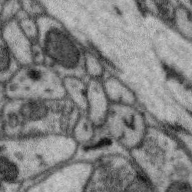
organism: Zebra finch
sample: Brain